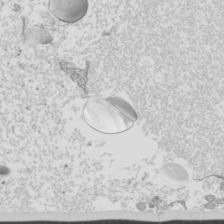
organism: Mouse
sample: Cilia; mouse epididymis